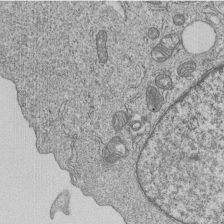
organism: Human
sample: MDA-MB-231 cells